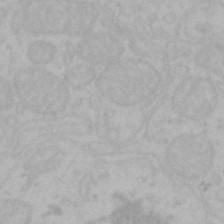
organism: Mouse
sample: Choroid plexus